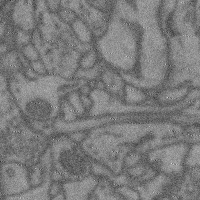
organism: Mouse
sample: Cerebral cortex